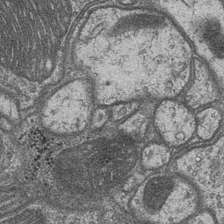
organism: Drosophila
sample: Optic medulla